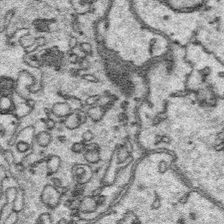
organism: Platynereis dumerilii